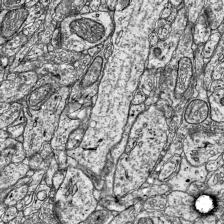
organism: Mouse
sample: Visual Cortex